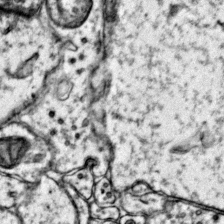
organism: Mouse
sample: Primary visual cortex